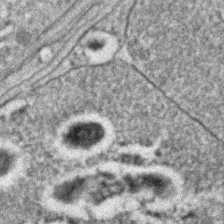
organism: C. elegans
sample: C. elegans embryo